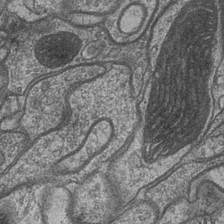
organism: Drosophila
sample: Optic medulla